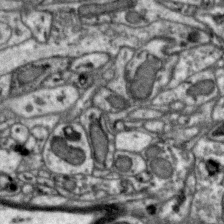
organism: Zebra finch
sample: Brain